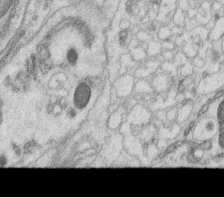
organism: C. elegans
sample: C. elegans oocyte; sperm cells